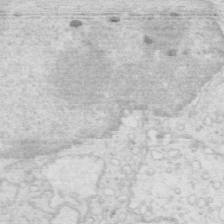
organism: Mouse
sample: Multiciliated cells